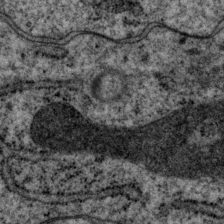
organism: P. pacificus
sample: Pharynx